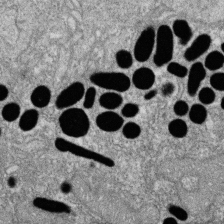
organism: Zebrafish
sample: Cilia; retinal pigment epithelium